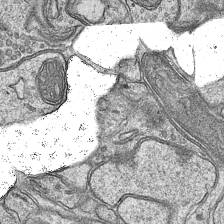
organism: Mouse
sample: CA1 Hippocampus